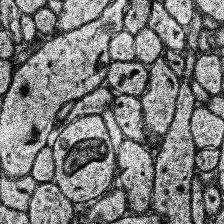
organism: Human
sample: Temporal Lobe